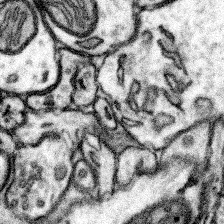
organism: Mouse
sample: Somatosensory cortex neuropil